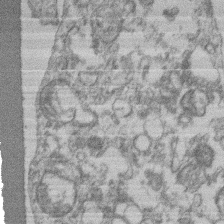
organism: Mouse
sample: T cell stromal cell synapse